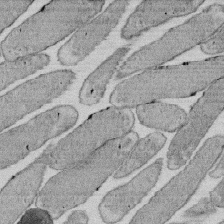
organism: E. coli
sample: Bacterial nucleoid